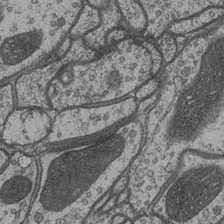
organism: Drosophila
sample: Optic medulla